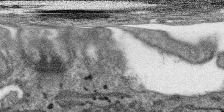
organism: Human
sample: Lung epithelial cells infected with SARS-CoV-2